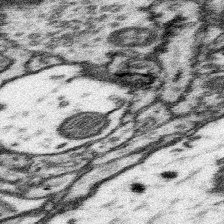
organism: Mouse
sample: Somatosensory cortex neuropil